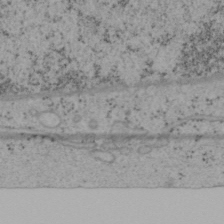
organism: Human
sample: HeLa cells